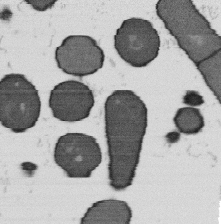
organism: B. subtilis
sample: Bacterial spore